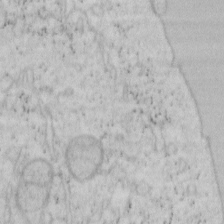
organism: Human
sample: HeLa cells